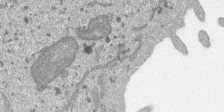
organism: Human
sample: Lung epithelial cells infected with SARS-CoV-2